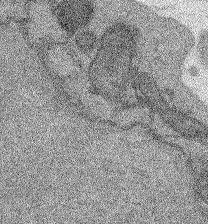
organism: Human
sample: HeLa cells